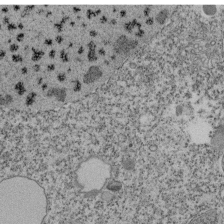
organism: Tetrahymena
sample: Cilia in tetrahymena